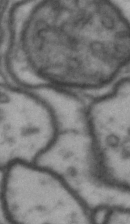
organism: Drosophila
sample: Brain